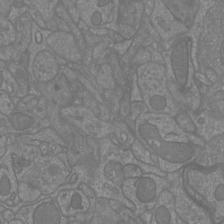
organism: Mouse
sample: Cortical neurons